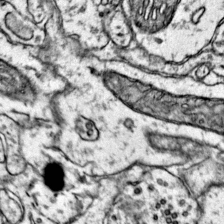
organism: Mouse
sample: Primary visual cortex